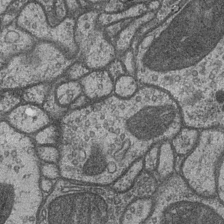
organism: Drosophila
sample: Optic medulla